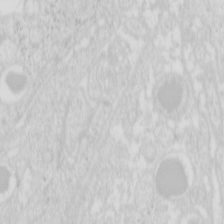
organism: Mouse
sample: Pancreas